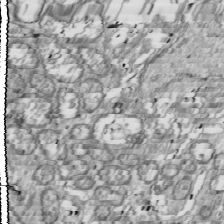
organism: Drosophila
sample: Cell division; meiosis; drosophila spermatocytes